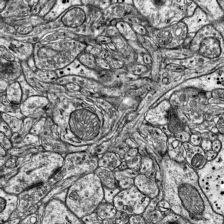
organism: Mouse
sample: Visual Cortex